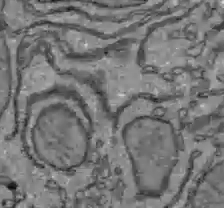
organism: C57BL Mouse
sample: Liver